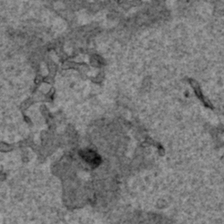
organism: Human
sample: Mitochondria in HCT116 cells